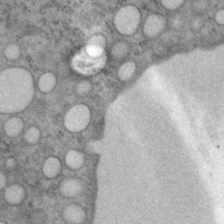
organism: P. pacificus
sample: Pharynx